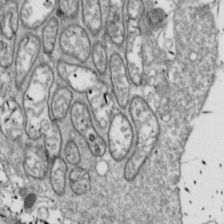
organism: Drosophila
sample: Cell division; meiosis; drosophila spermatocytes